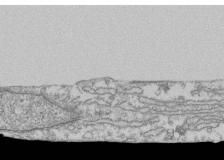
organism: Human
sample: Fibroblast cells